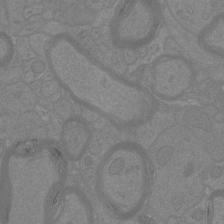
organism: Mouse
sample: Cortical neurons